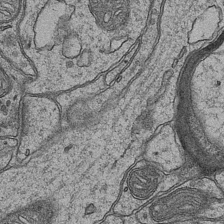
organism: Mouse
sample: CA1 Hippocampus